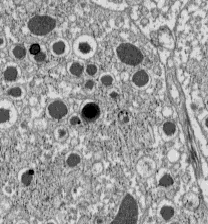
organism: C57BL Mouse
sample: Pancreatic islet